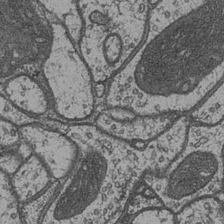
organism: Drosophila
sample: Optic medulla